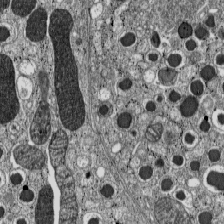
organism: C57BL Mouse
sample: Pancreatic islet